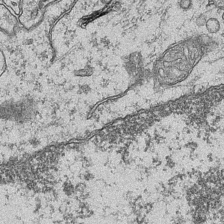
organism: Mouse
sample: CA1 Hippocampus